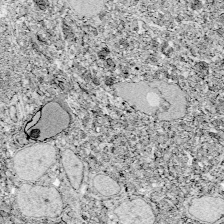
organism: Zebrafish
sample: Whole-Brain